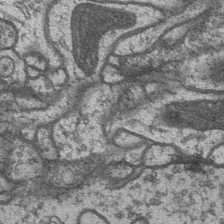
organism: Drosophila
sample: Optic medulla